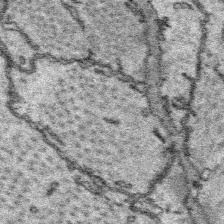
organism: Platynereis dumerilii